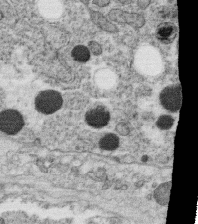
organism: C. elegans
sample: C. elegans oocyte; sperm cells